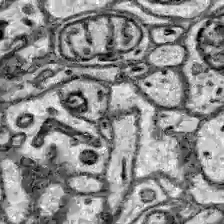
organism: Zebrafish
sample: Brain